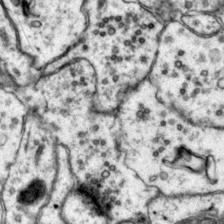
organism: Mouse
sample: Primary visual cortex